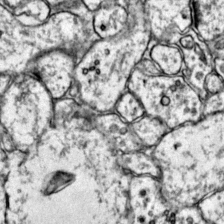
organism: Mouse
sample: Primary visual cortex